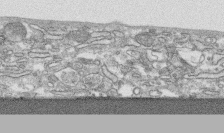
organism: Human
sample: CRL-1474